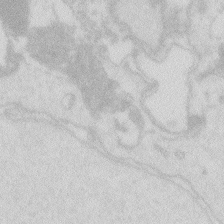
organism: Zebrafish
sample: Macrophage